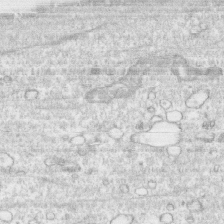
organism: Human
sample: CRL-1474